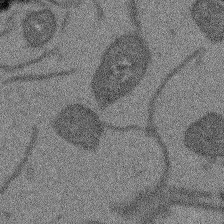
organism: Arabidopsis thaliana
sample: Root tip